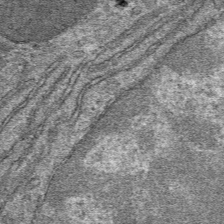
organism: Mouse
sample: Mouse hepatocytes